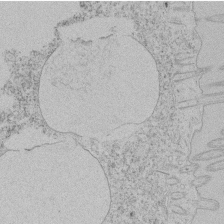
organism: Tetrahymena